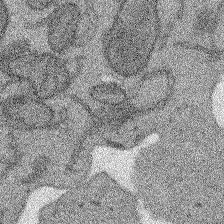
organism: Human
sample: HeLa cells